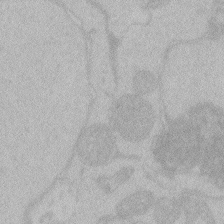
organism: Zebrafish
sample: Macrophage infected with Toxoplasma gondii